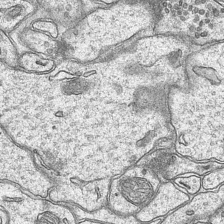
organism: Mouse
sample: CA1 Hippocampus